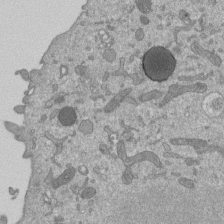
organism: Mouse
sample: ED-1 cell nuclei; centrioles